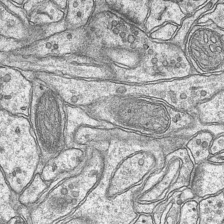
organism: Mouse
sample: CA1 Hippocampus